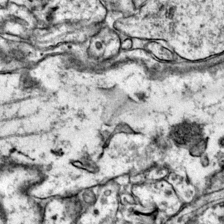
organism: Mouse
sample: Primary visual cortex